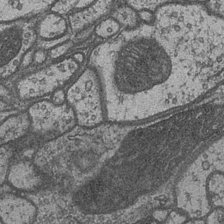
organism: Drosophila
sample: Optic medulla